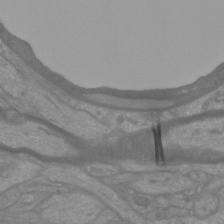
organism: Mouse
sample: Cortical neurons